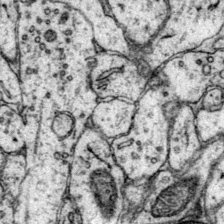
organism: Mouse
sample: Primary visual cortex